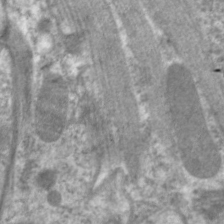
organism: C. elegans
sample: Pharynx